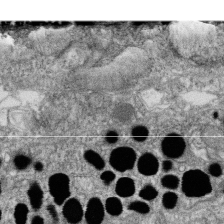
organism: Zebrafish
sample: Cilia; retinal pigment epithelium